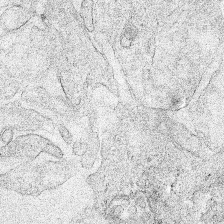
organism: Human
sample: Mitochondria in HCT116 cells